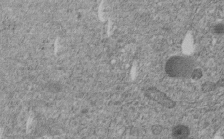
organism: C. elegans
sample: C. elegans embryo early stage